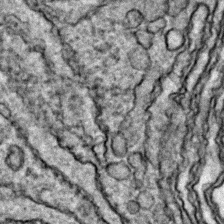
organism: Zebrafish